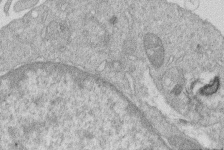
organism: Human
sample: Macrophage cells